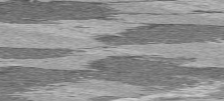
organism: C57BL Mouse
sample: Heart